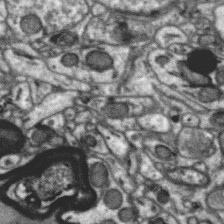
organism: Zebra finch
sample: Brain